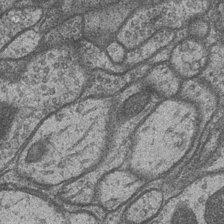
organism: Drosophila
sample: Optic medulla